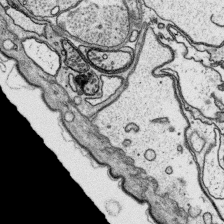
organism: Platynereis dumerilii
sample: Parapodia